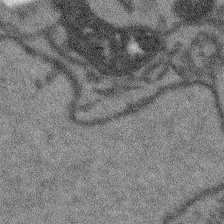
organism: Arabidopsis thaliana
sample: Root tip